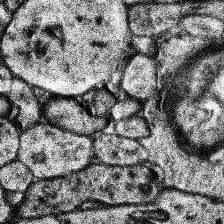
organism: Human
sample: Temporal Lobe